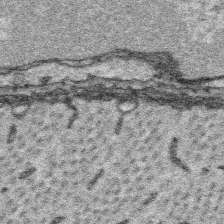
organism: Platynereis dumerilii